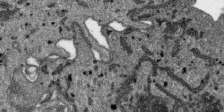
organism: Human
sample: Lung epithelial cells, uninfected (mock) control